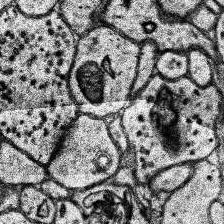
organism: Human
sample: Temporal Lobe